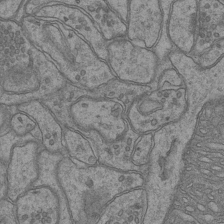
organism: Mouse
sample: CA1 Hippocampus